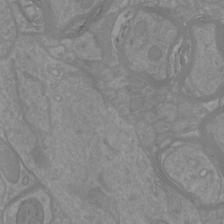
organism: Mouse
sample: Cortical neurons